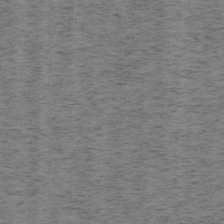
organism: Mouse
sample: OT-I killer T cells with ID8 ovarian cancer cells